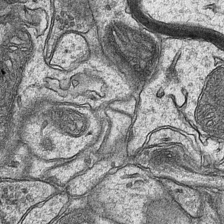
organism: Mouse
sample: CA1 Hippocampus